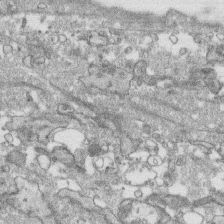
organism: Human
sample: CRL-1474